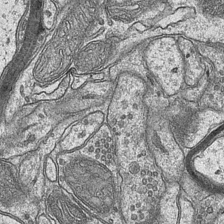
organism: Mouse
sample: CA1 Hippocampus